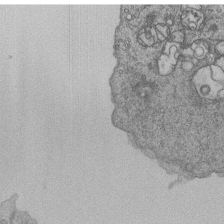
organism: Human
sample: MDA-MB-231 cells